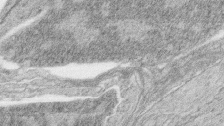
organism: Zebrafish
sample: synaptic ribbons in rod cells and cone cells